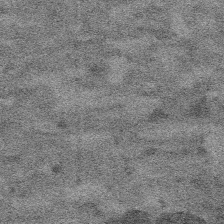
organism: Platynereis dumerilii